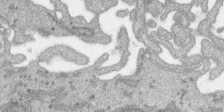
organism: Human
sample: Lung epithelial cells infected with SARS-CoV-2